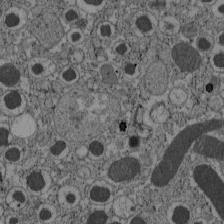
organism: C57BL Mouse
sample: Pancreatic islet